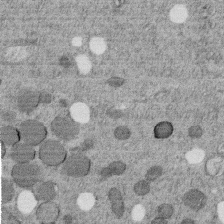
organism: C. elegans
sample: C. elegans embryo early stage